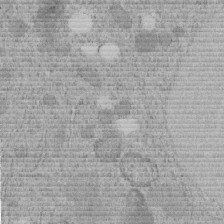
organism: C. elegans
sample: C. elegans embryo early stage